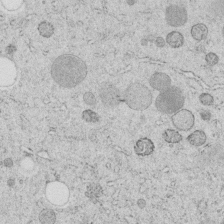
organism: C. elegans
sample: C. elegans embryo early stage